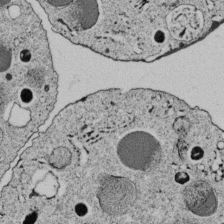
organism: C. elegans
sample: C. elegans embryo early stage